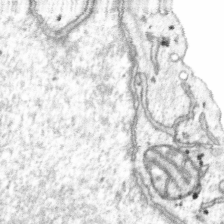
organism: Human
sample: HeLa cells